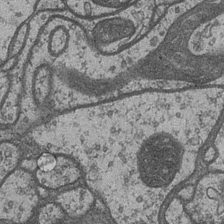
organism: Drosophila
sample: Optic medulla